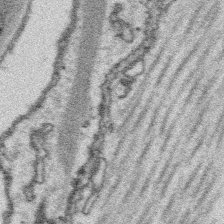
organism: Platynereis dumerilii